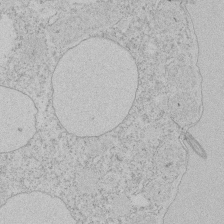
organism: Tetrahymena